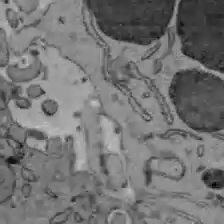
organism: C57BL Mouse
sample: Liver